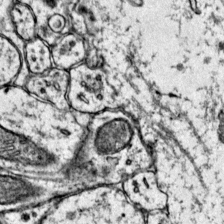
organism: Mouse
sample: Primary visual cortex